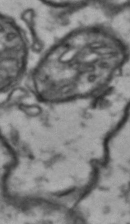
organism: Drosophila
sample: Brain